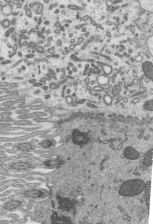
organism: Mouse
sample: Mouse epididymis efferent ductule cilia